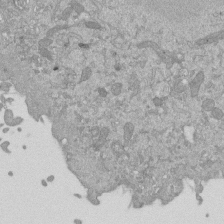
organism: Mouse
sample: ED-1 cell nuclei; centrioles